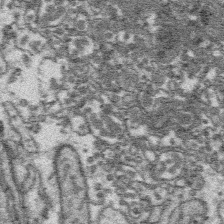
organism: Platynereis dumerilii